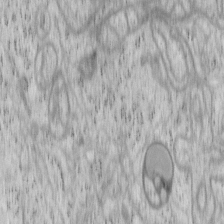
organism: Human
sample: HeLa cells